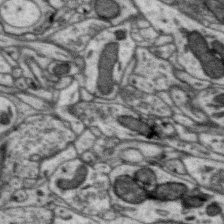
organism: Zebra finch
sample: Brain